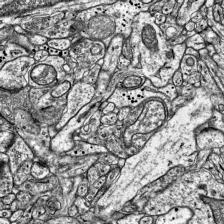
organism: Mouse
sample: Visual Cortex